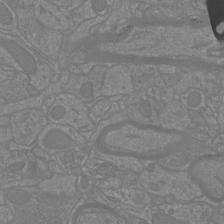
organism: Mouse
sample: Cortical neurons